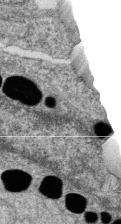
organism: Zebrafish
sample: Cilia; retinal pigment epithelium